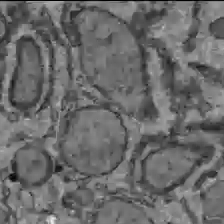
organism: C57BL Mouse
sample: Liver